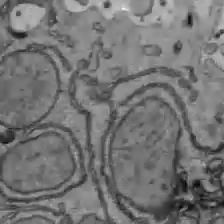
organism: C57BL Mouse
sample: Liver